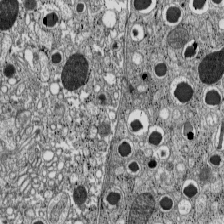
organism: C57BL Mouse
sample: Pancreatic islet